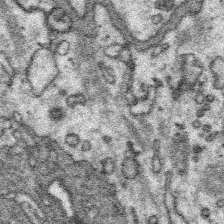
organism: Platynereis dumerilii